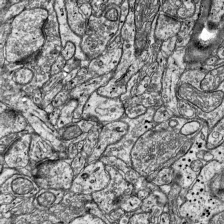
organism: Mouse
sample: Visual Cortex